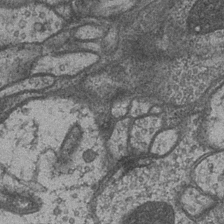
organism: Drosophila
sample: Optic medulla